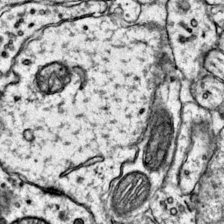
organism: Mouse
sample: Primary visual cortex